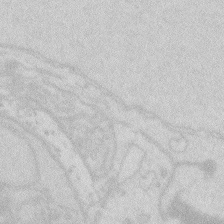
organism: Zebrafish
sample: Macrophage